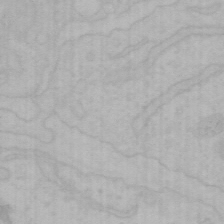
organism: Mouse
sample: Choroid plexus